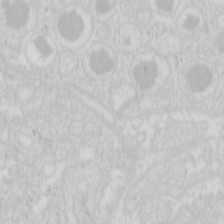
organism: Mouse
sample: Pancreas